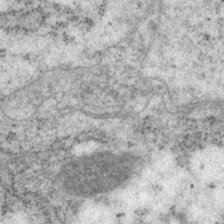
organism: P. pacificus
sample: Pharynx